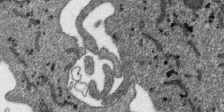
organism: Human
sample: Lung epithelial cells infected with SARS-CoV-2